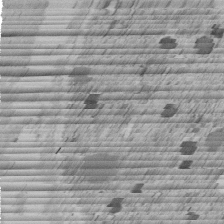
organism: C. elegans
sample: C. elegans embryo early stage